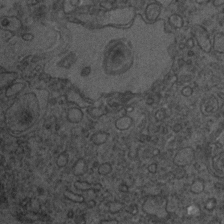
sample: Trachea